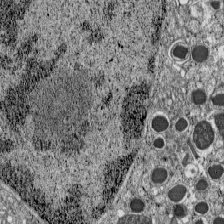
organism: C57BL Mouse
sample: Pancreatic islet